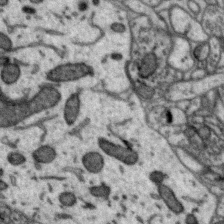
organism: Zebra finch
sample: Brain